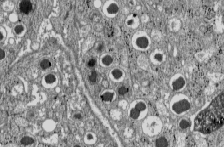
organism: C57BL Mouse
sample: Pancreatic islet